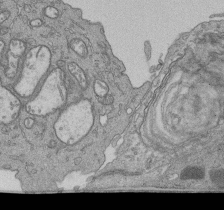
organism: Human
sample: Retinal organoid Rod and Cone cells